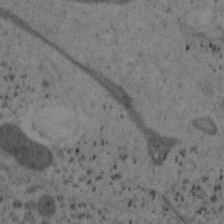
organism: Human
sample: HeLa cells